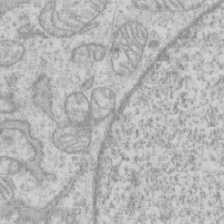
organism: Human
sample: CRL-1474